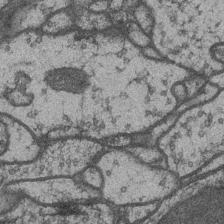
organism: Drosophila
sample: Optic medulla